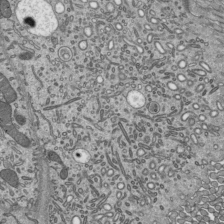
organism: Mouse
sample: Mouse epididymis efferent ductule cilia